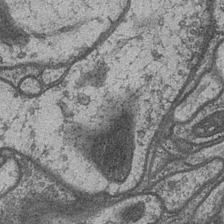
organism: Drosophila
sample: Optic medulla